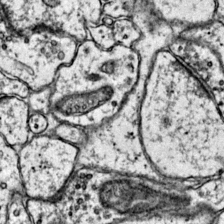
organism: Mouse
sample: Primary visual cortex